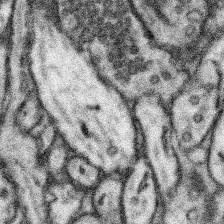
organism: Mouse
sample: Somatosensory cortex neuropil